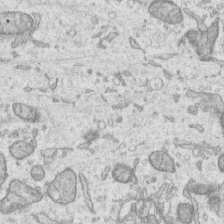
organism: Human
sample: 1205lu cells